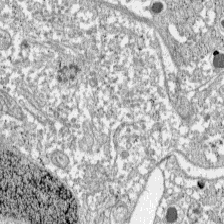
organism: C57BL Mouse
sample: Pancreatic islet